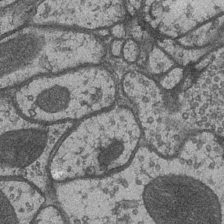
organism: Drosophila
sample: Optic medulla